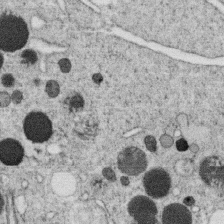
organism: C. elegans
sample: C. elegans oocyte; sperm cells